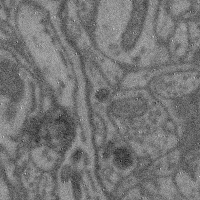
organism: Mouse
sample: Cerebral cortex